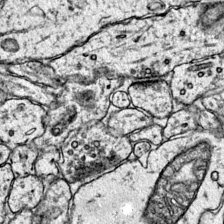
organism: Mouse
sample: Primary visual cortex